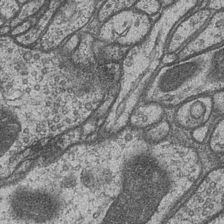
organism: Drosophila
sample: Optic medulla